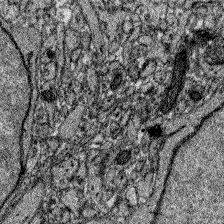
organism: Zebrafish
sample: Larval olfactory bulb